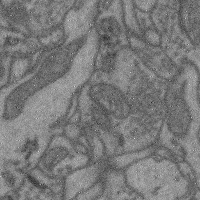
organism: Mouse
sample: Cerebral cortex